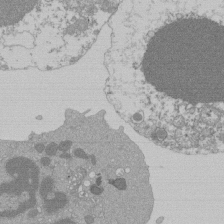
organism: Mouse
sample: Activated Pmel transgenic CD8+ T Cells